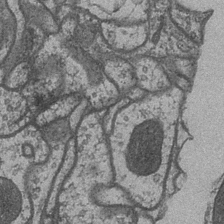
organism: Drosophila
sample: Optic medulla